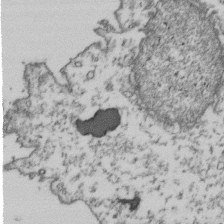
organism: Human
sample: Activated Jurkat CD4+ T cells